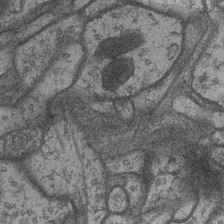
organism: Drosophila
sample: Optic medulla